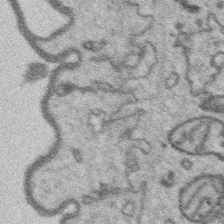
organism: Platynereis dumerilii